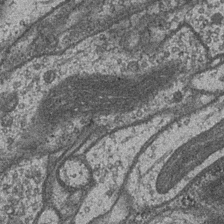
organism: Drosophila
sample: Optic medulla